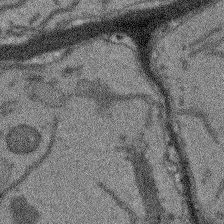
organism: Arabidopsis thaliana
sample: Root tip